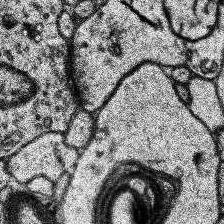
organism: Human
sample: Temporal Lobe